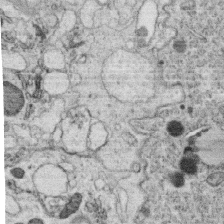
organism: C. elegans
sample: C. elegans oocyte; sperm cells